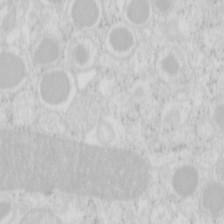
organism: Mouse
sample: Pancreas